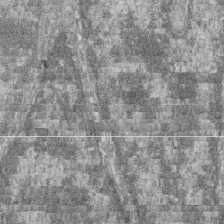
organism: Zebrafish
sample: Cilia; retinal pigment epithelium